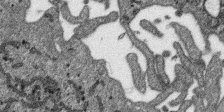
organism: Human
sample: Lung epithelial cells infected with SARS-CoV-2